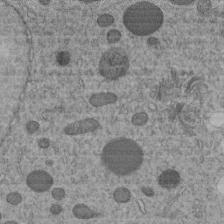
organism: C. elegans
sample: C. elegans embryo early stage